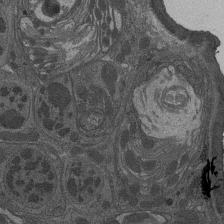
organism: Drosophila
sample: Antenna